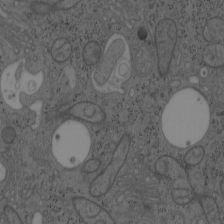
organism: Mouse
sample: OT-I killer T cells with ID8 ovarian cancer cells